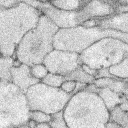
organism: Rabbit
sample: Retina